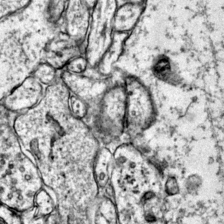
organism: Mouse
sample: Primary visual cortex